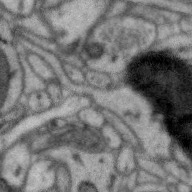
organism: Zebra finch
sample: Brain